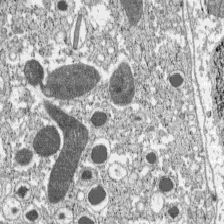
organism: C57BL Mouse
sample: Pancreatic islet